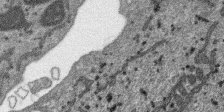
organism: Human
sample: Lung epithelial cells infected with SARS-CoV-2